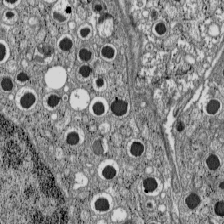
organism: C57BL Mouse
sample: Pancreatic islet